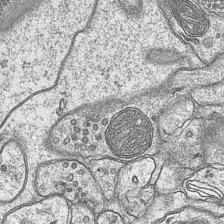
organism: Mouse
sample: CA1 Hippocampus